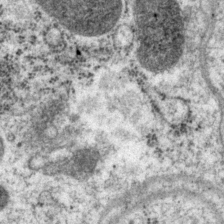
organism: P. pacificus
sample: Pharynx